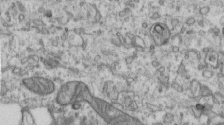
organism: Human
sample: Centriole in RPE cells